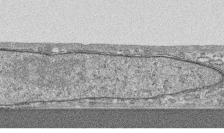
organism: Human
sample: CRL-1474